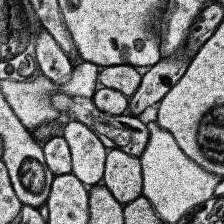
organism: Human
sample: Temporal Lobe